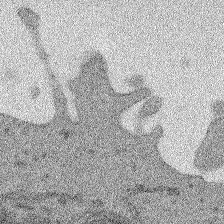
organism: Human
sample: HeLa cells